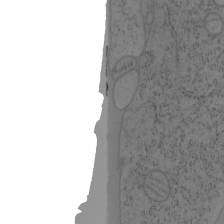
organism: Mouse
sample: OT-I killer T cells with ID8 ovarian cancer cells